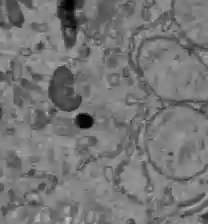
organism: C57BL Mouse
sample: Liver